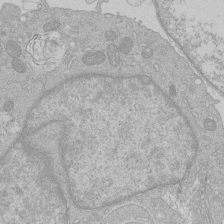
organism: Human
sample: Macrophage cells